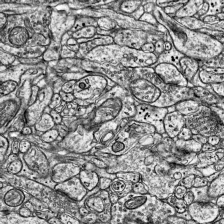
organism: Mouse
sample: Visual Cortex